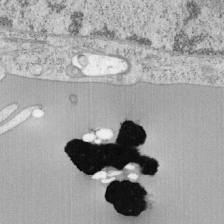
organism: Human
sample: HeLa cells